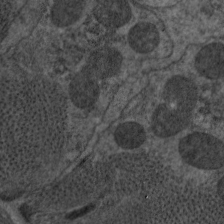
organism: C. elegans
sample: Pharynx